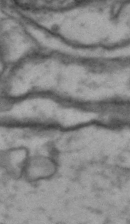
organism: Drosophila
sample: Brain